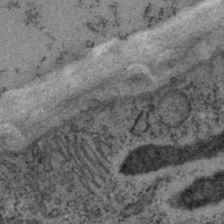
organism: C. elegans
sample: C. elegans embryo